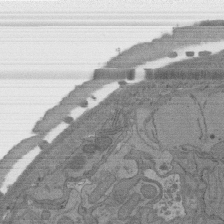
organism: C. elegans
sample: AFD neurons C. elegans